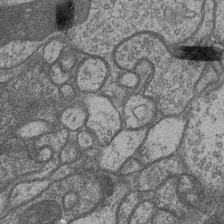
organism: Drosophila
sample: Optic medulla